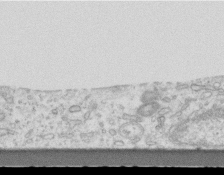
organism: Mouse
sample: Centriole in ependymal cells